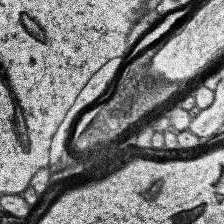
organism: Human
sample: Temporal Lobe